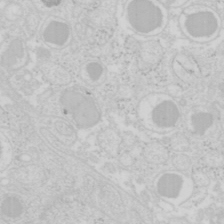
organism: Mouse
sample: Pancreas